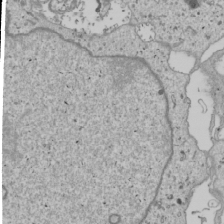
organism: Human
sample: Mitochondria in U2OS cells